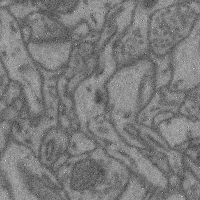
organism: Mouse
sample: Cerebral cortex